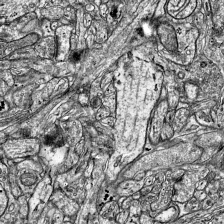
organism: Mouse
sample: Visual Cortex